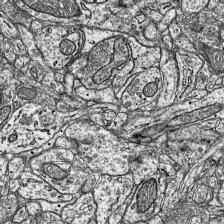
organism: Mouse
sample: Visual Cortex